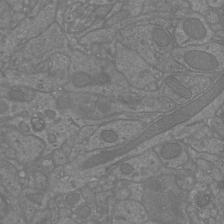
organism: Mouse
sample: Cortical neurons